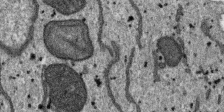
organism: Human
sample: Lung epithelial cells, uninfected (mock) control